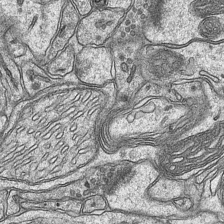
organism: Mouse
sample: CA1 Hippocampus